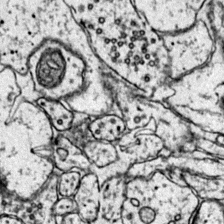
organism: Mouse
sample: Primary visual cortex